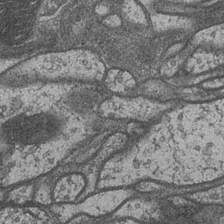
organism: Drosophila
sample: Optic medulla